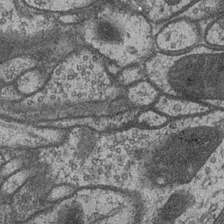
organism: Drosophila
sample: Optic medulla